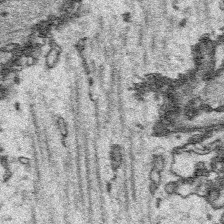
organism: Platynereis dumerilii